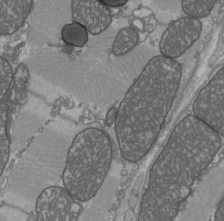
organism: C57BL Mouse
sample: Heart